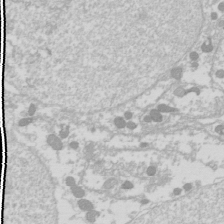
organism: Drosophila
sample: Cell division; meiosis; drosophila spermatocytes